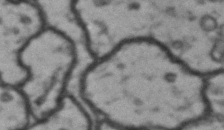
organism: Drosophila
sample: Brain